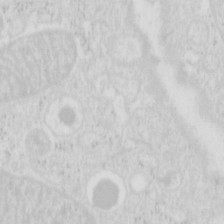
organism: Mouse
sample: Pancreas